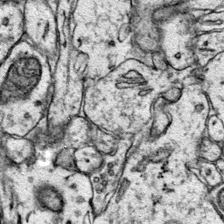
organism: Mouse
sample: Primary visual cortex